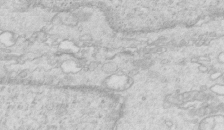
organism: Mouse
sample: Multiciliated cells